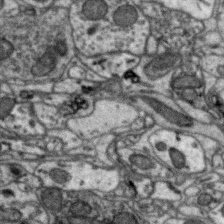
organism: Zebra finch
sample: Brain